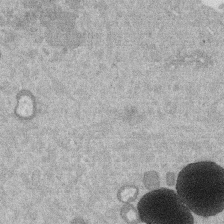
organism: Mouse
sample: Dividing mouse embryo 1 cell stage